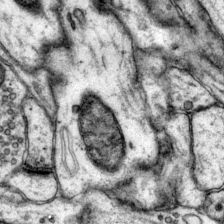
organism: Mouse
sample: Primary visual cortex